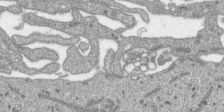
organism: Human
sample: Lung epithelial cells infected with SARS-CoV-2